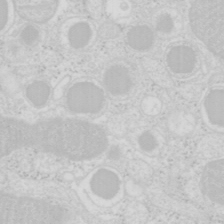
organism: Mouse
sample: Pancreas